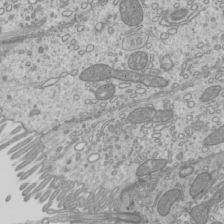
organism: Mouse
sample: Cilia; mouse epididymis